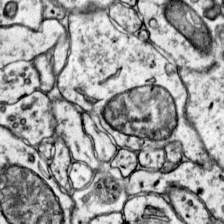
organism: Mouse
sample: Primary visual cortex